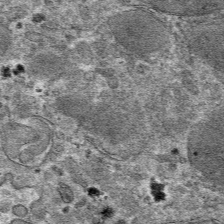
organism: Mouse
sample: Mouse hepatocytes